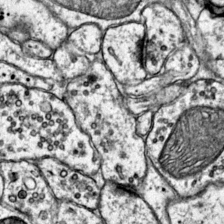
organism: Mouse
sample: Primary visual cortex